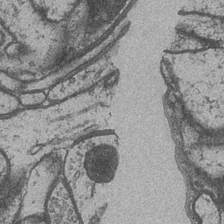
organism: Drosophila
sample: Optic medulla